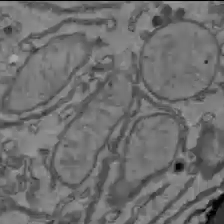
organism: C57BL Mouse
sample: Liver